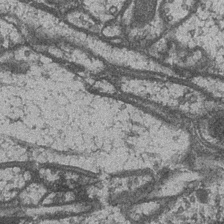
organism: Drosophila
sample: Optic medulla